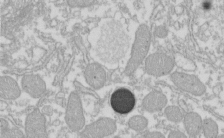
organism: Xenopus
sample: Cilia; centrioles in frog embryo cells